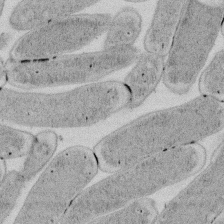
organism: E. coli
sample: Bacterial nucleoid